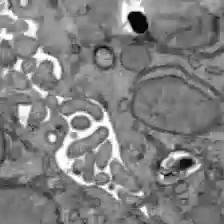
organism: C57BL Mouse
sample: Liver